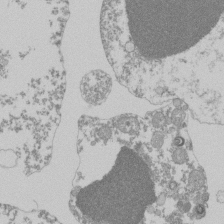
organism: Mouse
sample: Activated Pmel transgenic CD8+ T Cells